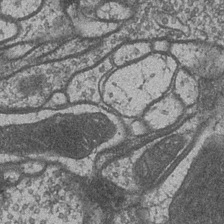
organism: Drosophila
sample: Optic medulla